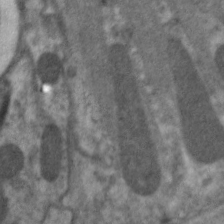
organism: C. elegans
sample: Pharynx